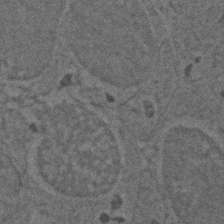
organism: Zebrafish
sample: Zebrafish embryo